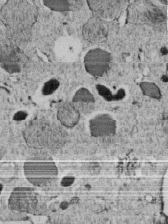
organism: C. elegans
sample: C. elegans embryo early stage